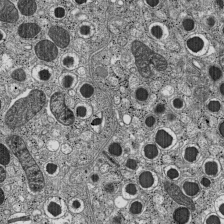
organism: C57BL Mouse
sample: Pancreatic islet